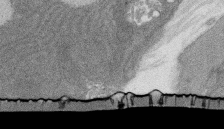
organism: Rat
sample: Salivary granule